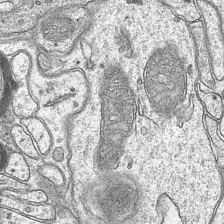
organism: Mouse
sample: CA1 Hippocampus